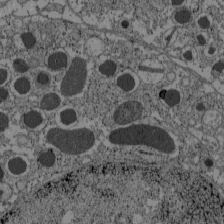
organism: C57BL Mouse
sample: Pancreatic islet